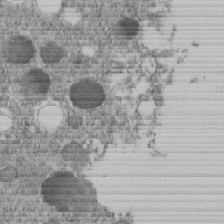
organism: C. elegans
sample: C. elegans embryo early stage